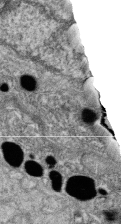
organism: Zebrafish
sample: Cilia; retinal pigment epithelium